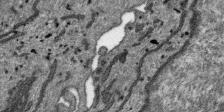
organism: Human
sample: Lung epithelial cells, uninfected (mock) control